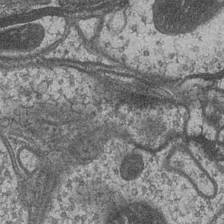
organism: Drosophila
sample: Optic medulla